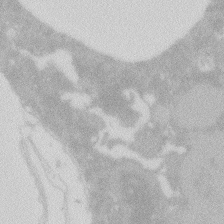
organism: Zebrafish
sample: Macrophage